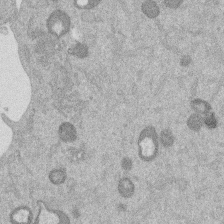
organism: Mouse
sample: Dividing mouse embryo 1 cell stage